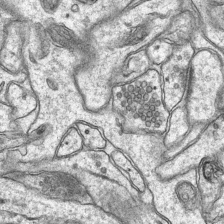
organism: Mouse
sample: CA1 Hippocampus